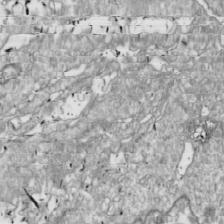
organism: Drosophila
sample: Cell division; meiosis; drosophila spermatocytes